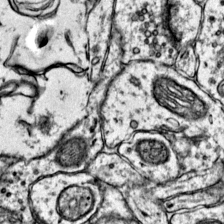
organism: Mouse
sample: Primary visual cortex